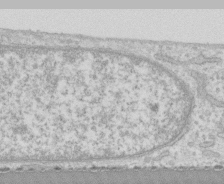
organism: Human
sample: CRL-1474